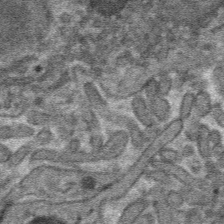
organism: Mouse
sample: Mouse hepatocytes